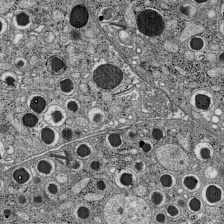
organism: C57BL Mouse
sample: Pancreatic islet